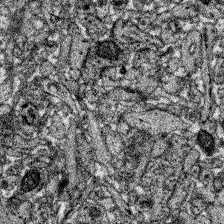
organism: Zebrafish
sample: Larval olfactory bulb